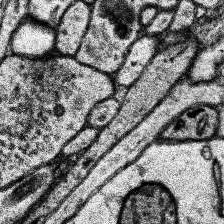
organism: Human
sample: Temporal Lobe